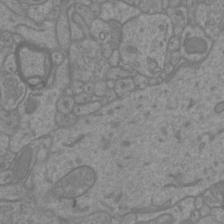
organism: Mouse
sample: Cortical neurons